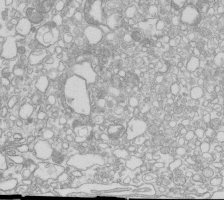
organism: Mouse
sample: Macrophages